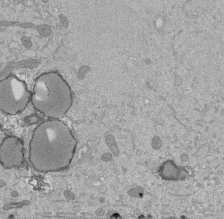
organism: Mouse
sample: ED-1 cell nuclei; centrioles